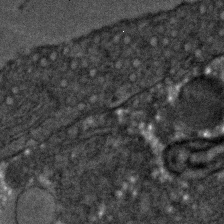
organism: C. elegans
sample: C. elegans embryo